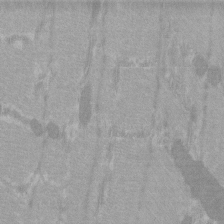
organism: C57BL Mouse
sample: Tibialis anterior muscle cell